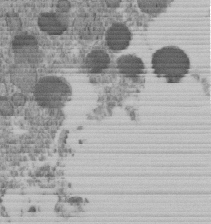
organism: C. elegans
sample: C. elegans embryo early stage